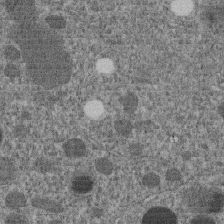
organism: C. elegans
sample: C. elegans embryo early stage